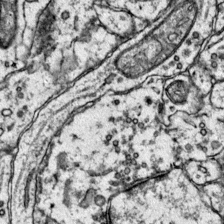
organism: Mouse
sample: Primary visual cortex